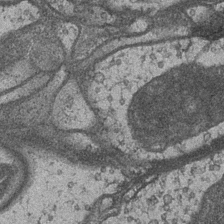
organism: Drosophila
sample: Optic medulla